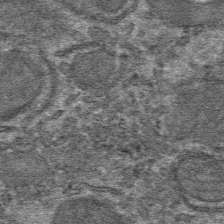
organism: Mouse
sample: Mouse hepatocytes